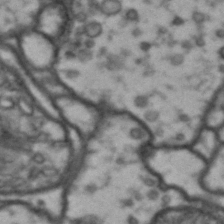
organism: Drosophila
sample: Brain